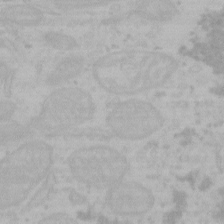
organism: Mouse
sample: Choroid plexus